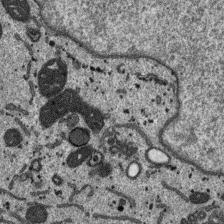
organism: Human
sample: Lung epithelial cells infected with SARS-CoV-2